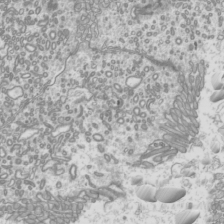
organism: Mouse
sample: Cilia; mouse epididymis